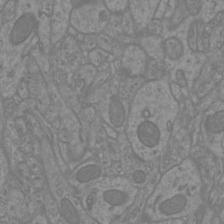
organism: Mouse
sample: Cortical neurons